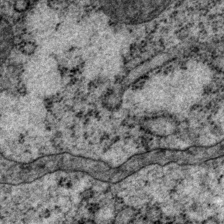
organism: P. pacificus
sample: Pharynx